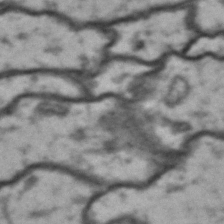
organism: Drosophila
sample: Brain